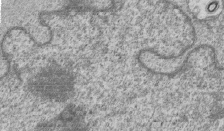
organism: Human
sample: MDA-MB-231 cells